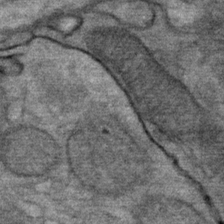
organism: Mouse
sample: Mouse Salivary gland